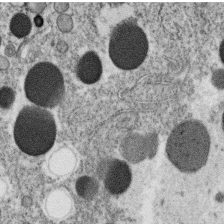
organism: C. elegans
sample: C. elegans oocyte; sperm cells